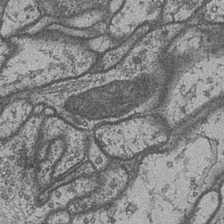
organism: Drosophila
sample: Optic medulla